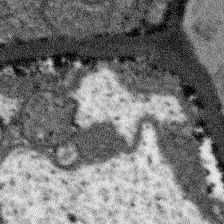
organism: Arabidopsis thaliana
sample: Root tip